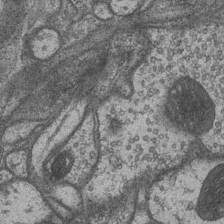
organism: Drosophila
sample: Optic medulla